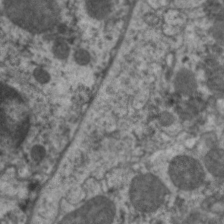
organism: C. elegans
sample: Pharynx